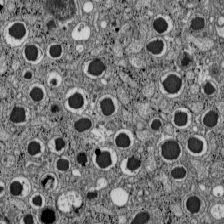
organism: C57BL Mouse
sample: Pancreatic islet